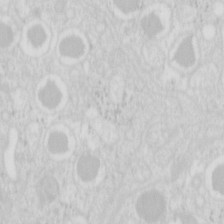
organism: Mouse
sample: Pancreas